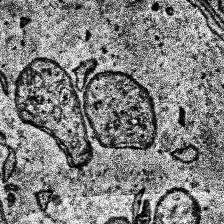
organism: Human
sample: Temporal Lobe